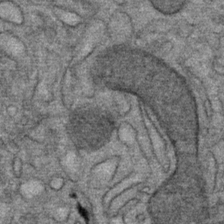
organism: Mouse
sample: Mouse Salivary gland